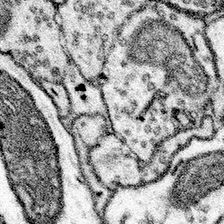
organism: Mouse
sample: Somatosensory cortex neuropil